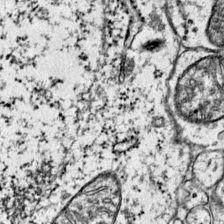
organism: Mouse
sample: Primary visual cortex